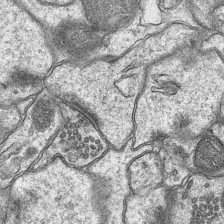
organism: Mouse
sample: CA1 Hippocampus